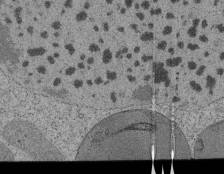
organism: Tetrahymena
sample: Cilia in tetrahymena